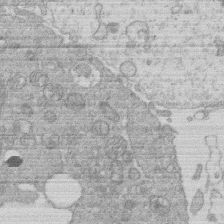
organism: Human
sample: Macrophage cells